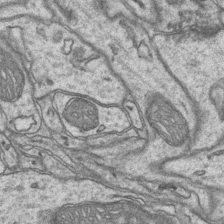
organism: Mouse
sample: CA1 Hippocampus